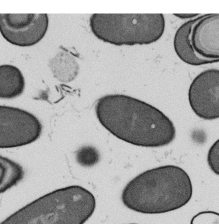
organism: B. subtilis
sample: Bacterial spore